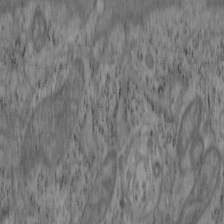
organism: Human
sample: HeLa cells